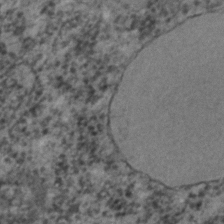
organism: C. elegans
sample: C. elegans embryo